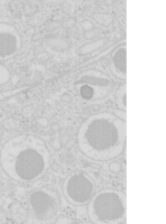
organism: Mouse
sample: Pancreas